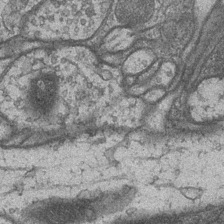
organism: Drosophila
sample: Optic medulla